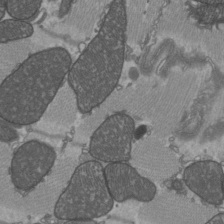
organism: C57BL Mouse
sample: Heart